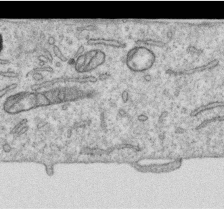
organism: Human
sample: Centriole in RPE cells